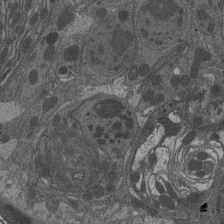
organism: Drosophila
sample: Antenna